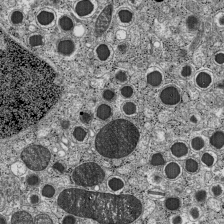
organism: C57BL Mouse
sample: Pancreatic islet